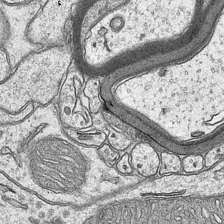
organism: Mouse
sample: CA1 Hippocampus